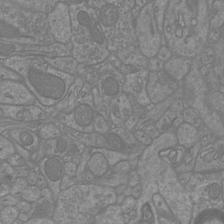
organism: Mouse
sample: Cortical neurons